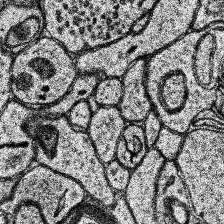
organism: Human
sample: Temporal Lobe